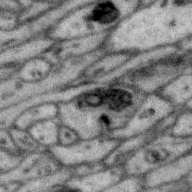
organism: Zebra finch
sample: Brain